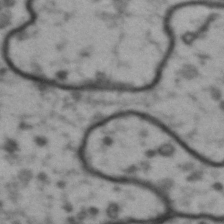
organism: Drosophila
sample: Brain